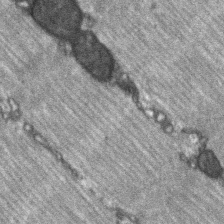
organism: C57BL Mouse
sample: Soleus